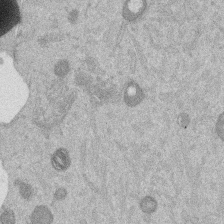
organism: Mouse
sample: Dividing mouse embryo 1 cell stage